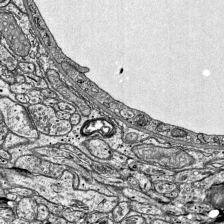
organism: Mouse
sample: Visual Cortex